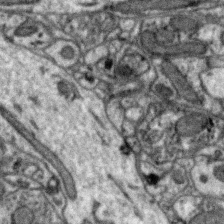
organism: Zebra finch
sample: Brain